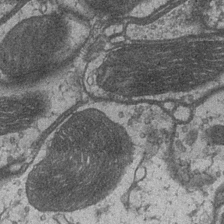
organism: Drosophila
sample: Optic medulla